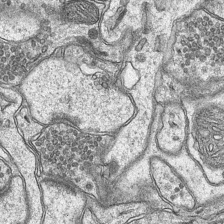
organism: Mouse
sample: CA1 Hippocampus